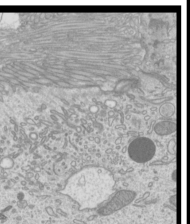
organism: Mouse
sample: Cilia; mouse epididymis